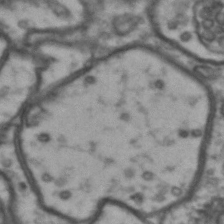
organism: Drosophila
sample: Brain